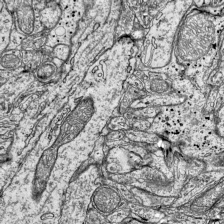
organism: Mouse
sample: Visual Cortex